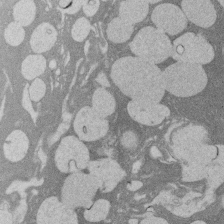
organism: Rat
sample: Salivary granule